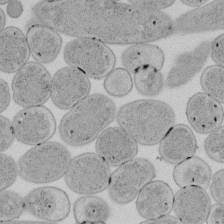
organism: E. coli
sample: Bacterial nucleoid